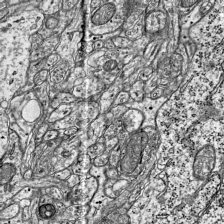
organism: Mouse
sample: Visual Cortex